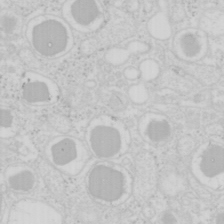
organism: Mouse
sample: Pancreas